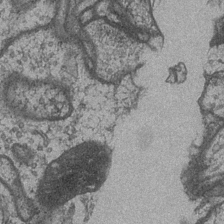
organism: Drosophila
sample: Optic medulla